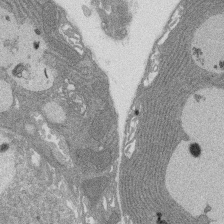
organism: Rat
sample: Salivary granule